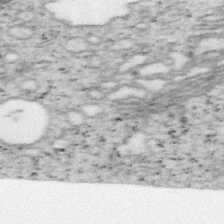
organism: Mouse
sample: OT-I killer T cells with ID8 ovarian cancer cells